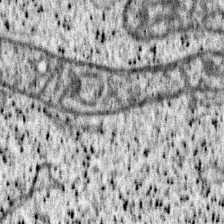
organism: Human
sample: HeLa cells